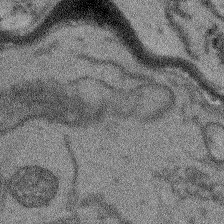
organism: Arabidopsis thaliana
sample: Root tip